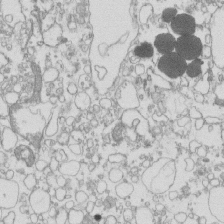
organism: Mouse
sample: Macrophages